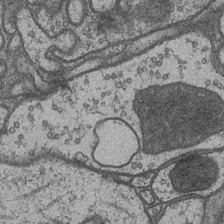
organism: Drosophila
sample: Optic medulla